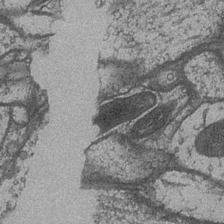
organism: Drosophila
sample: Optic medulla